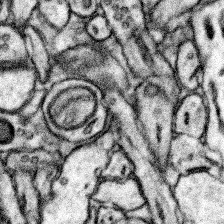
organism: Mouse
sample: Somatosensory cortex neuropil